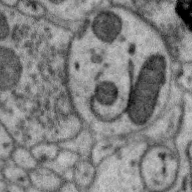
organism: Zebra finch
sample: Brain